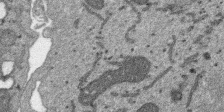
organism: Human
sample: Lung epithelial cells infected with SARS-CoV-2